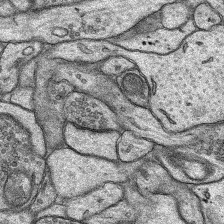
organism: Rat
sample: Hippocampus